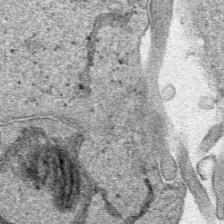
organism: Human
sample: Mitochondria in HCT116 cells